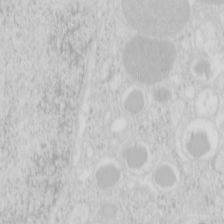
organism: Mouse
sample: Pancreas